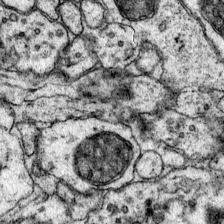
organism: Mouse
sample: Primary visual cortex